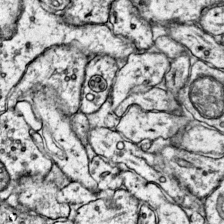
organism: Mouse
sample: Primary visual cortex